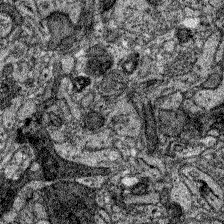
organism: Zebrafish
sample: Larval olfactory bulb